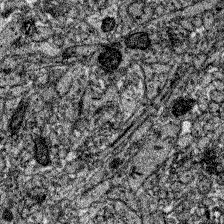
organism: Zebrafish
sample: Larval olfactory bulb